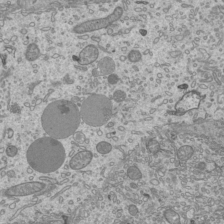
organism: Mouse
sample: Cilia; mouse epididymis